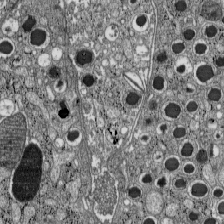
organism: C57BL Mouse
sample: Pancreatic islet